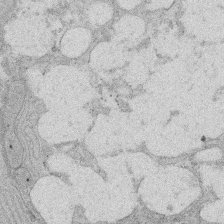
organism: Rat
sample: Salivary granule